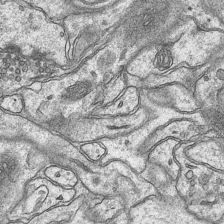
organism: Mouse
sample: CA1 Hippocampus